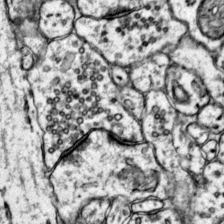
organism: Mouse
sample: Primary visual cortex